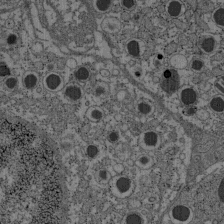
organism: C57BL Mouse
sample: Pancreatic islet